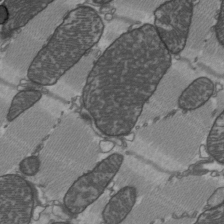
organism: C57BL Mouse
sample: Heart